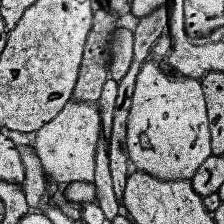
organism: Human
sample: Temporal Lobe